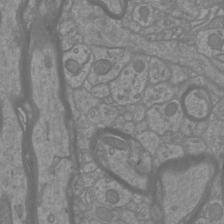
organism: Mouse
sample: Cortical neurons